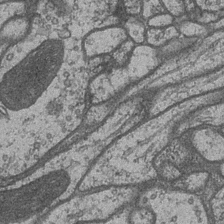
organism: Drosophila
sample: Optic medulla